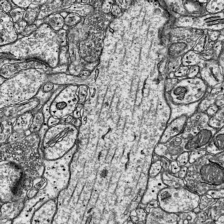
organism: Mouse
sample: Visual Cortex